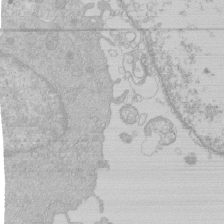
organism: Human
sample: Macrophage cells